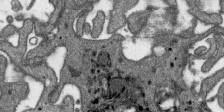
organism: Human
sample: Lung epithelial cells, uninfected (mock) control